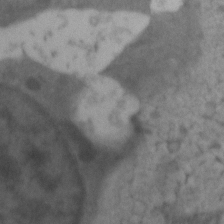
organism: Zebrafish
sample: Zebrafish embryo